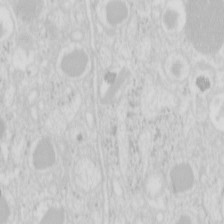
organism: Mouse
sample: Pancreas